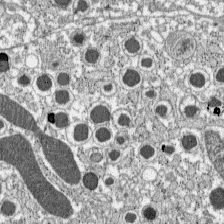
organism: C57BL Mouse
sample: Pancreatic islet